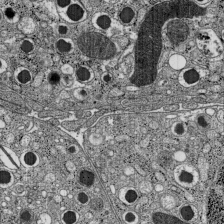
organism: C57BL Mouse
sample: Pancreatic islet